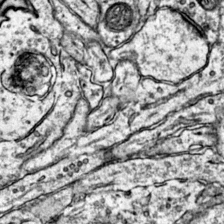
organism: Mouse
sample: Primary visual cortex